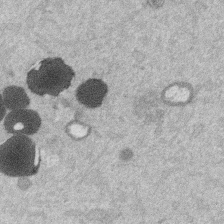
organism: Mouse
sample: Dividing mouse embryo 1 cell stage